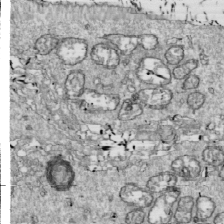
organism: Drosophila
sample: Cell division; meiosis; drosophila spermatocytes